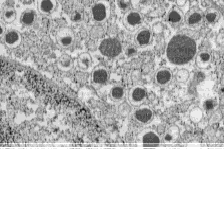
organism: C57BL Mouse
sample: Pancreatic islet